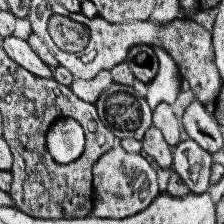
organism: Human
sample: Temporal Lobe